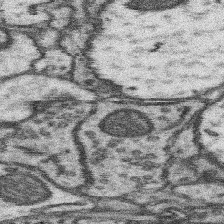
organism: Mouse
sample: Somatosensory cortex neuropil